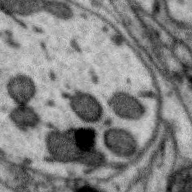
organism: Zebra finch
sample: Brain